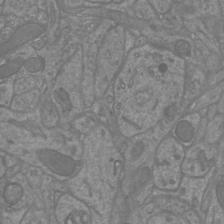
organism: Mouse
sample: Cortical neurons